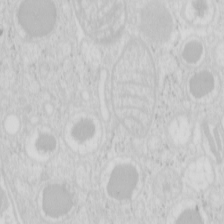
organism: Mouse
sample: Pancreas